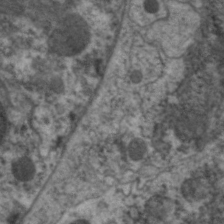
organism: C. elegans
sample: Pharynx